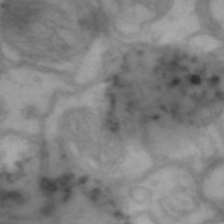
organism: Drosophila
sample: Brain